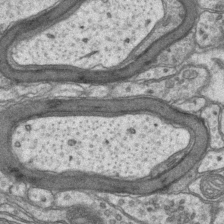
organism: Mouse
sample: CA1 Hippocampus